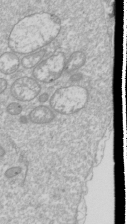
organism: Drosophila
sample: Cell division; meiosis; drosophila spermatocytes